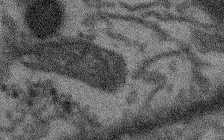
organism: Arabidopsis thaliana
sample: Root tip